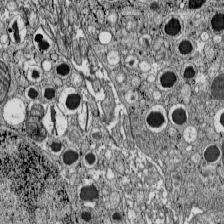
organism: C57BL Mouse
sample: Pancreatic islet